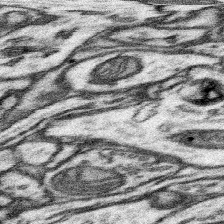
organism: Mouse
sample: Somatosensory cortex neuropil